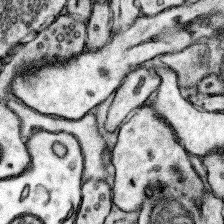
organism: Mouse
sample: Somatosensory cortex neuropil